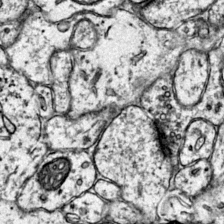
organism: Mouse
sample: Primary visual cortex